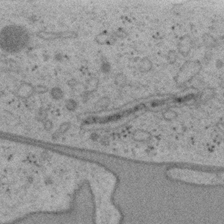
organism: Human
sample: HeLa cells